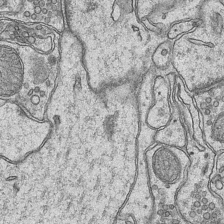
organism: Mouse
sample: CA1 Hippocampus